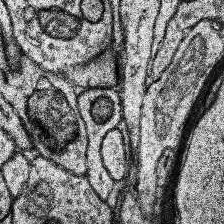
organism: Human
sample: Temporal Lobe